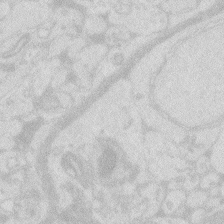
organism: Zebrafish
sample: Macrophage